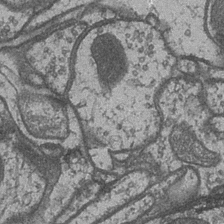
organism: Drosophila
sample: Optic medulla